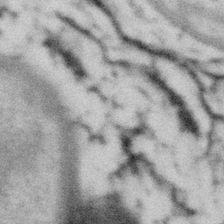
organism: Gemmata obscuriglobus